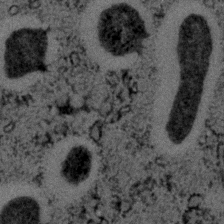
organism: C. elegans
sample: C. elegans embryo